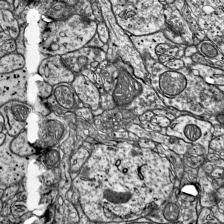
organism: Mouse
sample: Visual Cortex